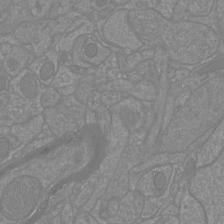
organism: Mouse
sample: Cortical neurons